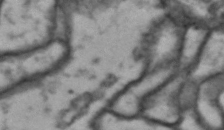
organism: Drosophila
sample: Brain